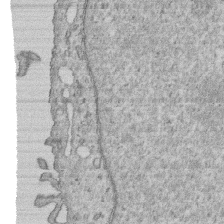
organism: Human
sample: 1205lu cells